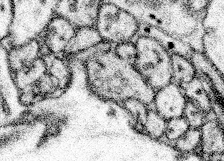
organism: Mouse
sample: Somatosensory cortex neuropil